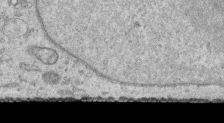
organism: Human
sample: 1205lu cells